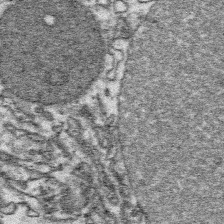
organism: Platynereis dumerilii